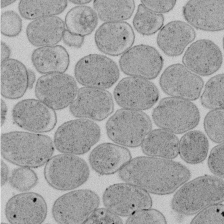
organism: E. coli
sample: Bacterial nucleoid